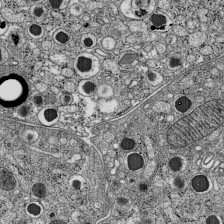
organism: C57BL Mouse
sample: Pancreatic islet